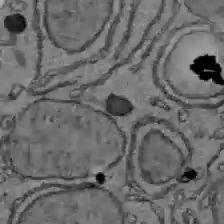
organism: C57BL Mouse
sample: Liver